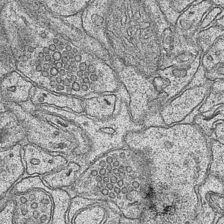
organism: Mouse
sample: CA1 Hippocampus